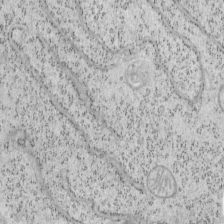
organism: Mouse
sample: OT-I killer T cells with ID8 ovarian cancer cells